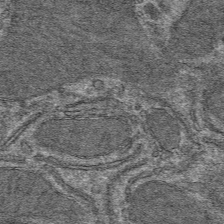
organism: Mouse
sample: Mouse hepatocytes